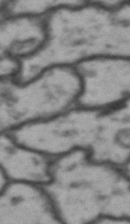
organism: Drosophila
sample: Brain